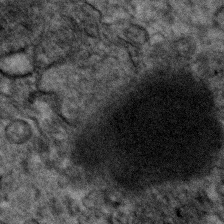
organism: Human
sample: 1205lu cells